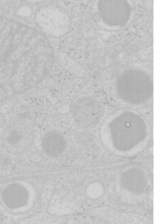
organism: Mouse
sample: Pancreas